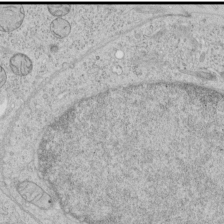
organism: Human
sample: Mitochondria in HCT116 cells